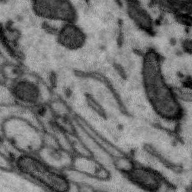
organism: Zebra finch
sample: Brain